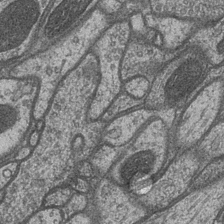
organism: Drosophila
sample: Optic medulla